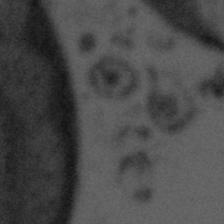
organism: Tuwongella immobilis